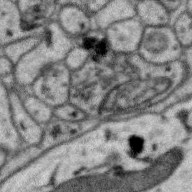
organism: Zebra finch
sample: Brain